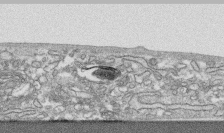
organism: Human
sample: CRL-1474